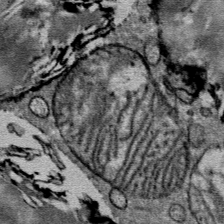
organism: Mouse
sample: Mouse Salivary gland